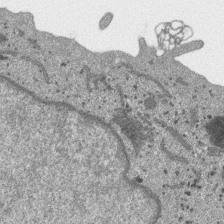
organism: Human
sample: Lung epithelial cells infected with SARS-CoV-2